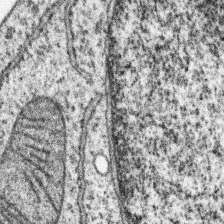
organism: Human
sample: HeLa cells